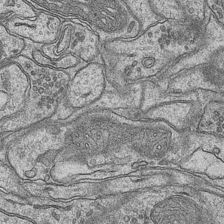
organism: Mouse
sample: CA1 Hippocampus